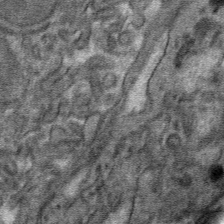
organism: Mouse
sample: Mouse hepatocytes